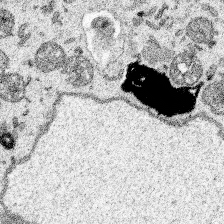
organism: Spongilla lacustris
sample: Multiple